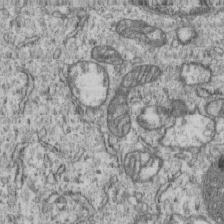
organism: Human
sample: MDA-MB-231 cells